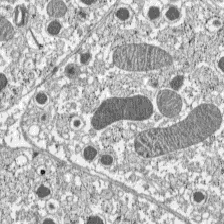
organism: C57BL Mouse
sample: Pancreatic islet